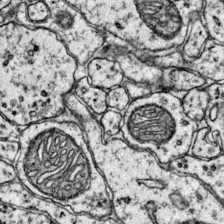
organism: Mouse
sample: Primary visual cortex